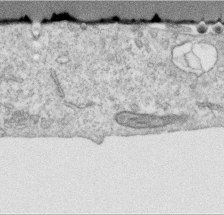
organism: Human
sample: Centriole in RPE cells